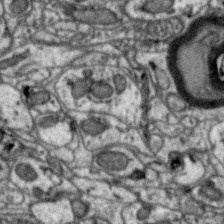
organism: Zebra finch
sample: Brain